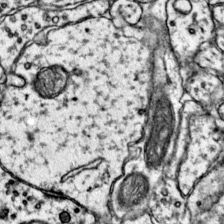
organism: Mouse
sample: Primary visual cortex